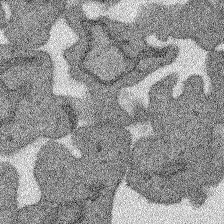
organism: Human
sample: HeLa cells